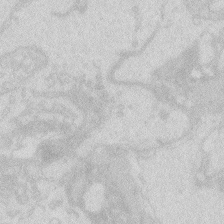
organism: Zebrafish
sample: Macrophage